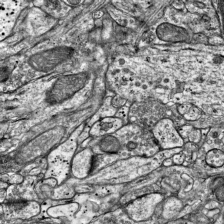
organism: Mouse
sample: Visual Cortex